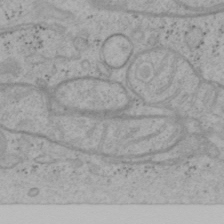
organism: Human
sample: HeLa cells